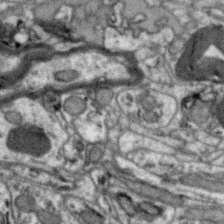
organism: Zebra finch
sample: Brain